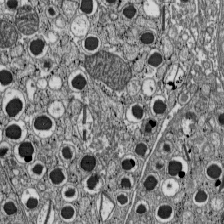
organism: C57BL Mouse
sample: Pancreatic islet